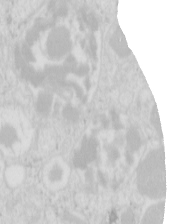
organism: Mouse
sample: Pancreas